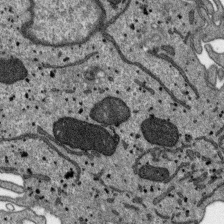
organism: Human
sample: Lung epithelial cells, uninfected (mock) control